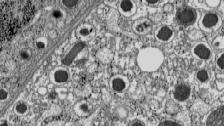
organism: C57BL Mouse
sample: Pancreatic islet